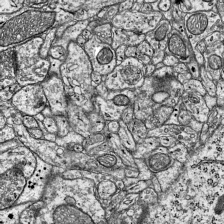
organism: Mouse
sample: Visual Cortex